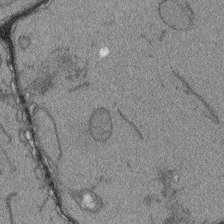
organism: Arabidopsis thaliana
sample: Root tip